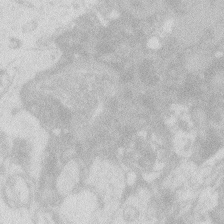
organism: Zebrafish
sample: Macrophage